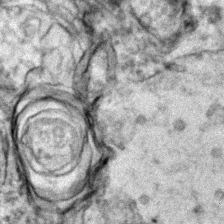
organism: Zebrafish